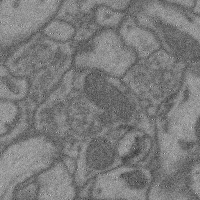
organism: Mouse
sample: Cerebral cortex